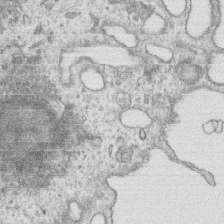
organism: Human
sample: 1205lu cells